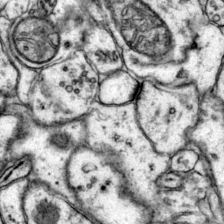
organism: Mouse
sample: Primary visual cortex